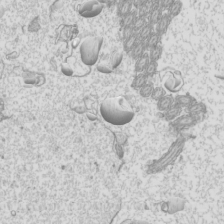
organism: Mouse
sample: Cilia; mouse epididymis